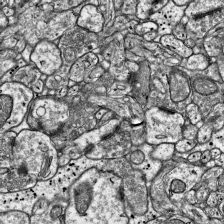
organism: Mouse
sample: Visual Cortex